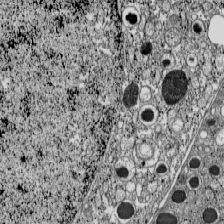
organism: C57BL Mouse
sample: Pancreatic islet